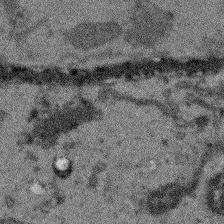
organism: Arabidopsis thaliana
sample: Root tip